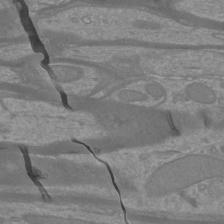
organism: Mouse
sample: Cortical neurons